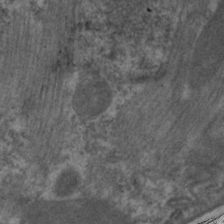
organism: C. elegans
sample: Pharynx